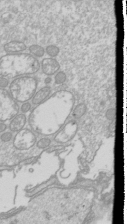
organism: Drosophila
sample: Cell division; meiosis; drosophila spermatocytes